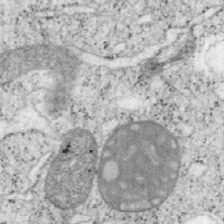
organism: Mouse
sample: OT-I killer T cells with ID8 ovarian cancer cells